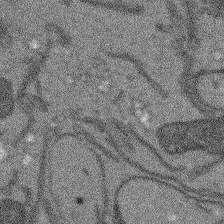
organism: Arabidopsis thaliana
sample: Root tip